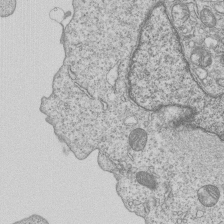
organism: Human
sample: MDA-MB-231 cells